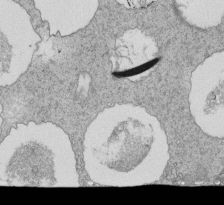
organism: Tetrahymena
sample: Cilia in tetrahymena